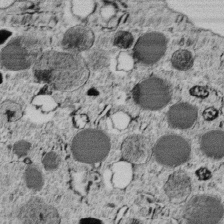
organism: C. elegans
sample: C. elegans embryo early stage